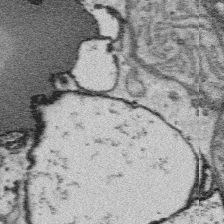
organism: Platynereis dumerilii